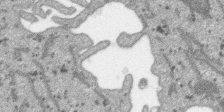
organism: Human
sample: Lung epithelial cells infected with SARS-CoV-2